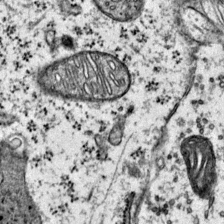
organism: Mouse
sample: Primary visual cortex